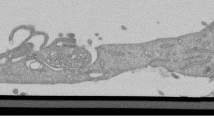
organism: Mouse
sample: ED-1 cell nuclei; centrioles